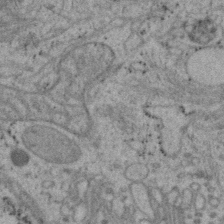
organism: Human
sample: HeLa cells